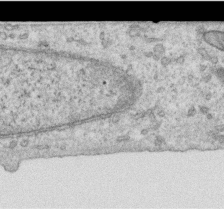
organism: Human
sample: Centriole in RPE cells